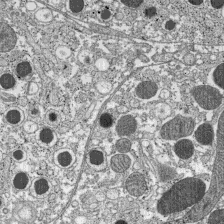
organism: C57BL Mouse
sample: Pancreatic islet